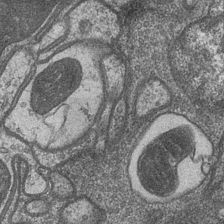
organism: Drosophila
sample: Optic medulla